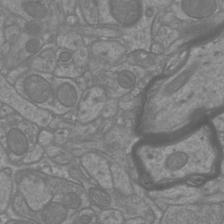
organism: Mouse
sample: Cortical neurons